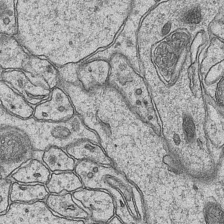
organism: Mouse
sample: CA1 Hippocampus